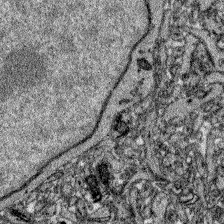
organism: Zebrafish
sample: Larval olfactory bulb